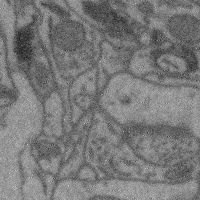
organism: Mouse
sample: Cerebral cortex